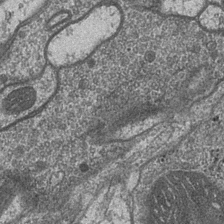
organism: Drosophila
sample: Optic medulla